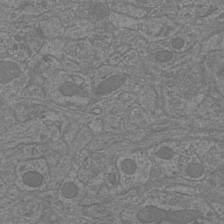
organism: Mouse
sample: Cortical neurons